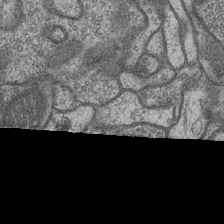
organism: Drosophila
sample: Optic medulla